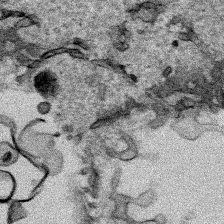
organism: Human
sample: Mitochondria in HCT116 cells